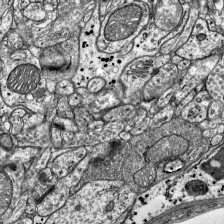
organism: Mouse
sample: Visual Cortex